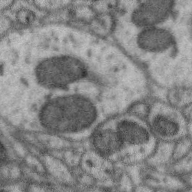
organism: Zebra finch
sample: Brain